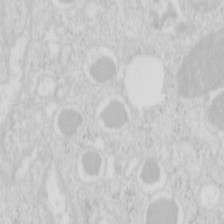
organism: Mouse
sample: Pancreas